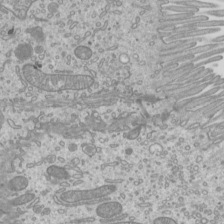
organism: Mouse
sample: Cilia; mouse epididymis